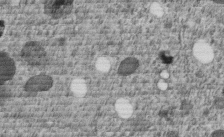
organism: C. elegans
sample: C. elegans embryo early stage